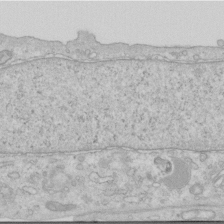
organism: Human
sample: Centriole in RPE cells